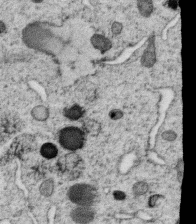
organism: C. elegans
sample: C. elegans oocyte; sperm cells